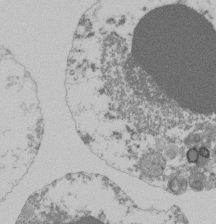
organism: Mouse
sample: Activated Pmel transgenic CD8+ T Cells